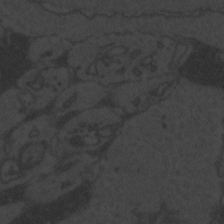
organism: Zebrafish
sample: Macrophage infected with Toxoplasma gondii